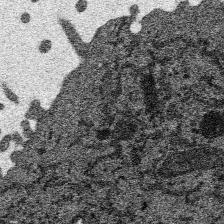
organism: Human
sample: Lung epithelial cells infected with SARS-CoV-2